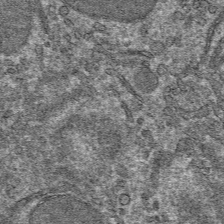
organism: Mouse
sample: Mouse hepatocytes